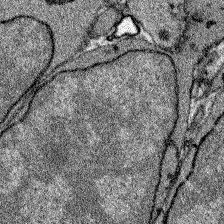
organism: Zebrafish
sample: Larval olfactory bulb